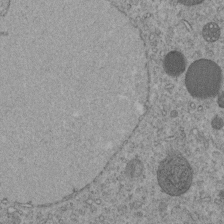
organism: C. elegans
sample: C. elegans embryo early stage